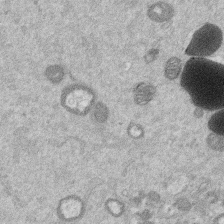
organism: Mouse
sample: Dividing mouse embryo 1 cell stage